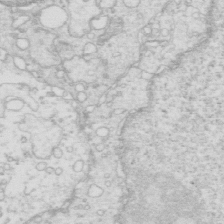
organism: Mouse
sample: Multiciliated cells